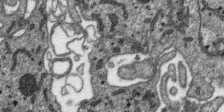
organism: Human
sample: Lung epithelial cells infected with SARS-CoV-2